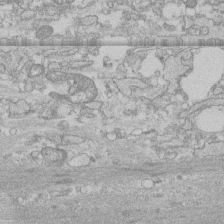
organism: Human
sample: CRL-1474